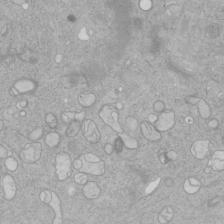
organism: Human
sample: Mitochondria in HCT116 cells